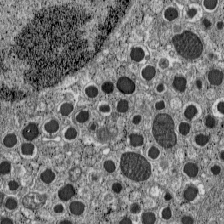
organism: C57BL Mouse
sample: Pancreatic islet